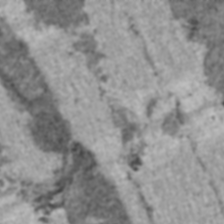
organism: C57BL Mouse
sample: Heart